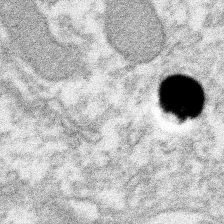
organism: Xenopus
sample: Cilia; centrioles in frog embryo cells